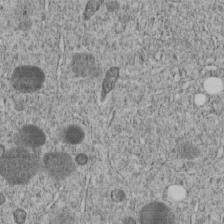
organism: C. elegans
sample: C. elegans embryo early stage